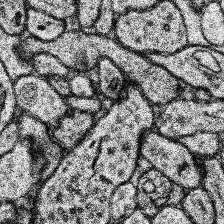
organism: Human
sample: Temporal Lobe